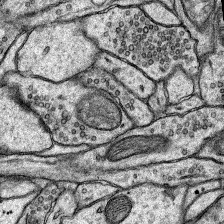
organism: Rat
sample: Hippocampus